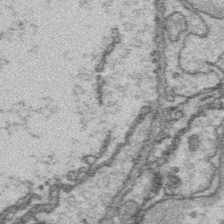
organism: Platynereis dumerilii